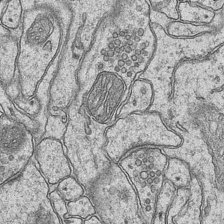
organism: Mouse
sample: CA1 Hippocampus